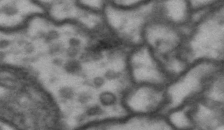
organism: Drosophila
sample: Brain